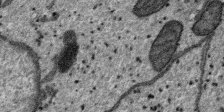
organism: Human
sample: Lung epithelial cells, uninfected (mock) control